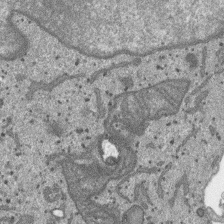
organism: Human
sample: Lung epithelial cells infected with SARS-CoV-2